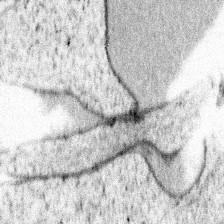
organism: Human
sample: HeLa cells